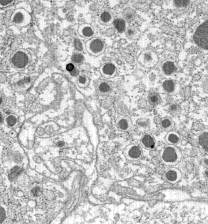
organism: C57BL Mouse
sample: Pancreatic islet